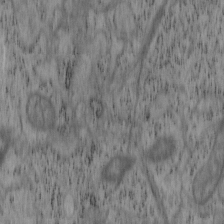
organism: Human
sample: HeLa cells